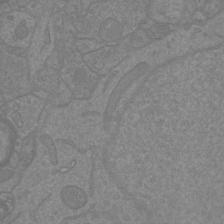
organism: Mouse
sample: Cortical neurons